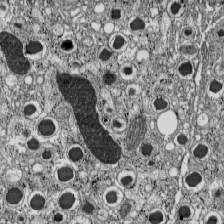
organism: C57BL Mouse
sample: Pancreatic islet